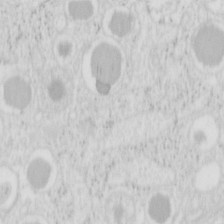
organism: Mouse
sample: Pancreas